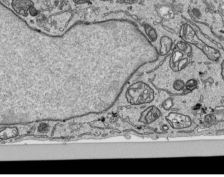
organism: Human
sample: Mitochondria in HCT116 cells